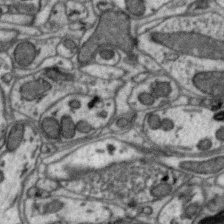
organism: Zebra finch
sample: Brain